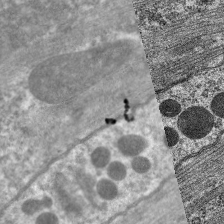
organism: C. elegans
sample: Pharynx